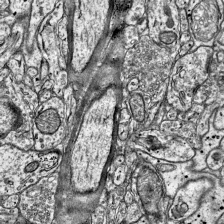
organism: Mouse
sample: Visual Cortex